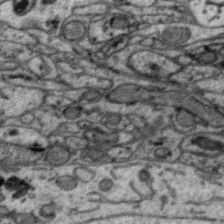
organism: Zebra finch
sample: Brain